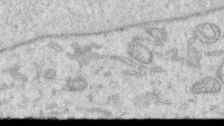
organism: Human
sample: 1205lu cells